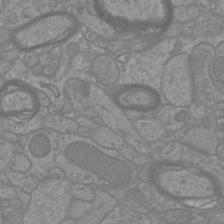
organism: Mouse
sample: Cortical neurons